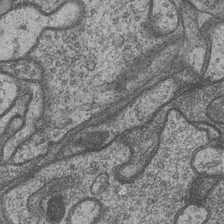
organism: Drosophila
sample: Optic medulla